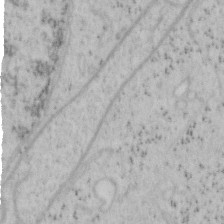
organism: Human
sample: HeLa cells